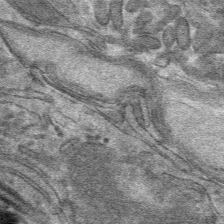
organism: Mouse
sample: Mouse hepatocytes